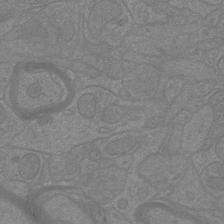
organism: Mouse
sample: Cortical neurons